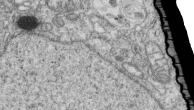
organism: Human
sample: HeLa cell HIV synapse